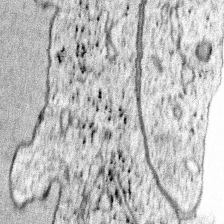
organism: Human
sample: HeLa cells